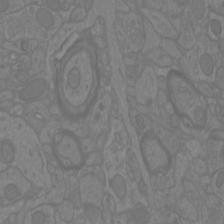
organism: Mouse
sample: Cortical neurons